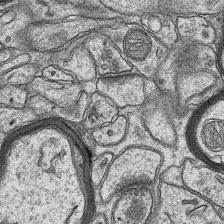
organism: Mouse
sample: CA1 Hippocampus